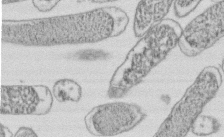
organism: E. coli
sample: Bacterial nucleoid